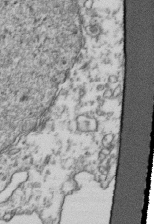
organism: Human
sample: Activated Jurkat CD4+ T cells